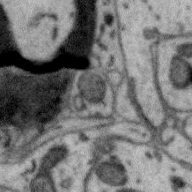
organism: Zebra finch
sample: Brain